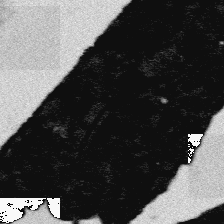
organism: Platynereis dumerilii